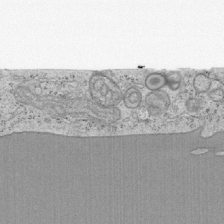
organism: Human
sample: HeLa cells